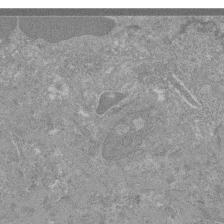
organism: Mouse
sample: Glomerulus